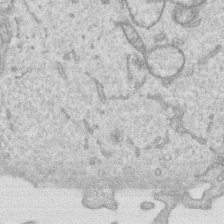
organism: Human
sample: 1205lu cells